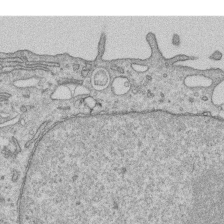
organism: Human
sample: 1205lu cells